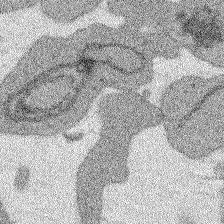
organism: Human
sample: HeLa cells